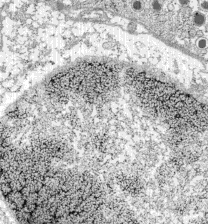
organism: C57BL Mouse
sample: Pancreatic islet